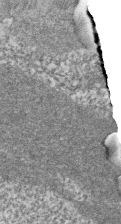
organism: Zebrafish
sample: Cilia; retinal pigment epithelium